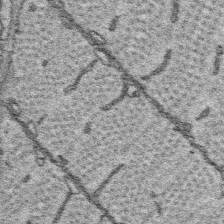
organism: Platynereis dumerilii